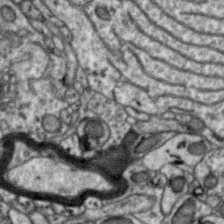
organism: Zebra finch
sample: Brain